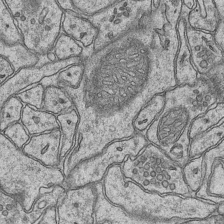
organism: Mouse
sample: CA1 Hippocampus